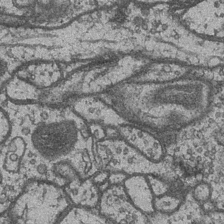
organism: Drosophila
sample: Optic medulla